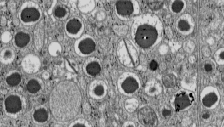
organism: C57BL Mouse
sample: Pancreatic islet